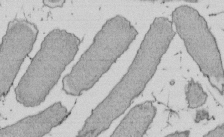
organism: E. coli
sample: Bacterial nucleoid